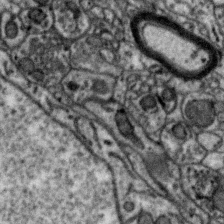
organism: Zebra finch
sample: Brain